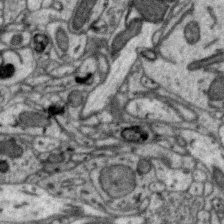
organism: Zebra finch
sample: Brain